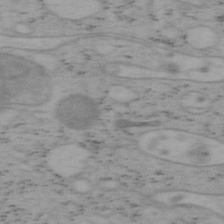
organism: Mouse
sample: OT-I killer T cells with ID8 ovarian cancer cells